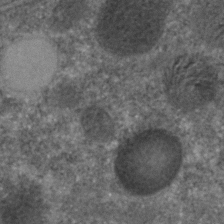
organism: C. elegans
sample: C. elegans embryo